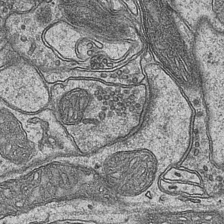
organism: Mouse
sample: CA1 Hippocampus